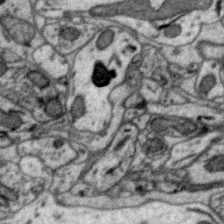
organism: Zebra finch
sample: Brain